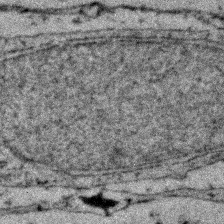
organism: Zebrafish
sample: Zebrafish embryo